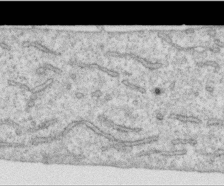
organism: Human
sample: Centriole in RPE cells